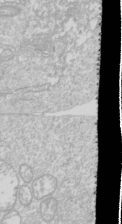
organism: Drosophila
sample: Cell division; meiosis; drosophila spermatocytes